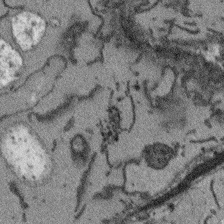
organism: Arabidopsis thaliana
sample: Root tip